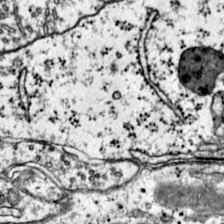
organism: Mouse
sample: Primary visual cortex